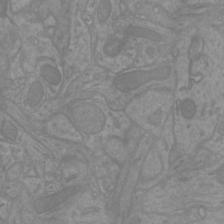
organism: Mouse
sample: Cortical neurons